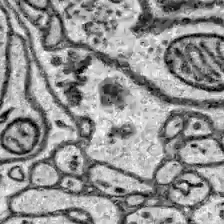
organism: Zebrafish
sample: Brain